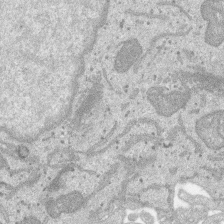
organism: Human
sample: Lung epithelial cells infected with SARS-CoV-2